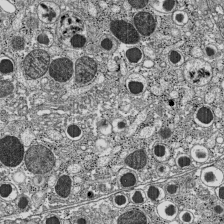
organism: C57BL Mouse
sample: Pancreatic islet